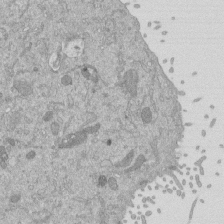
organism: Mouse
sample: ED-1 cell nuclei; centrioles